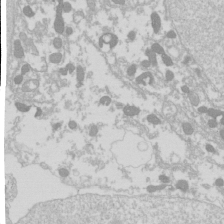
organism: Drosophila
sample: Cell division; meiosis; drosophila spermatocytes